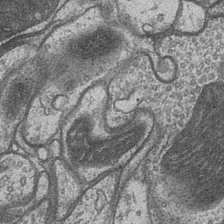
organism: Drosophila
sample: Optic medulla